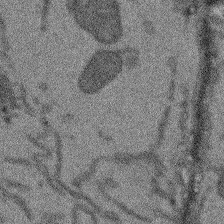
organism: Arabidopsis thaliana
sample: Root tip